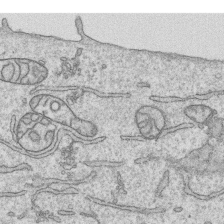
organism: Human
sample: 1205lu cells